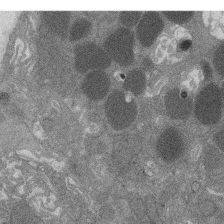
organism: Rat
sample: Salivary granule